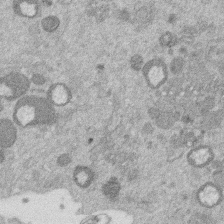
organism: Mouse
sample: Dividing mouse embryo 1 cell stage